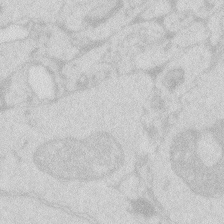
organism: Zebrafish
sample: Macrophage